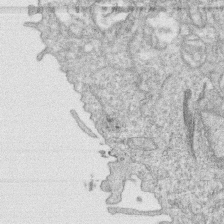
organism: Human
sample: HeLa cell HIV synapse